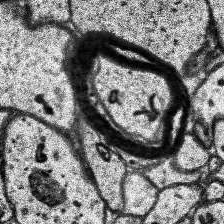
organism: Human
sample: Temporal Lobe